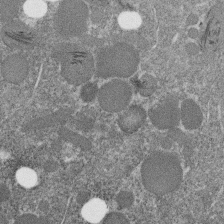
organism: C. elegans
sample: C. elegans embryo early stage